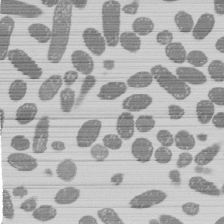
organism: E. coli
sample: Bacterial nucleoid